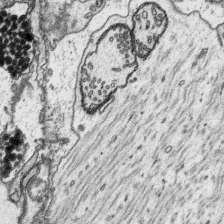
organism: Platynereis dumerilii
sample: Parapodia